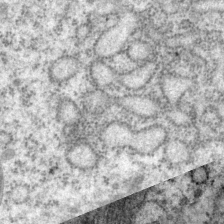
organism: P. pacificus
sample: Pharynx